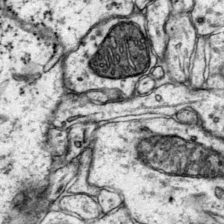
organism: Mouse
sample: Primary visual cortex